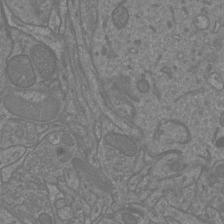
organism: Mouse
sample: Cortical neurons